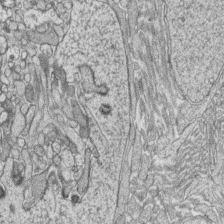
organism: Zebrafish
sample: synaptic ribbons in rod cells and cone cells